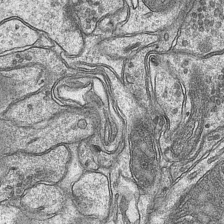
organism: Mouse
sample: CA1 Hippocampus